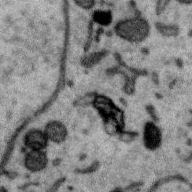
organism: Zebra finch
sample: Brain